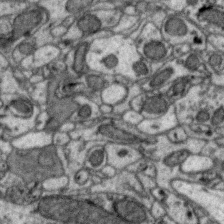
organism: Zebra finch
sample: Brain